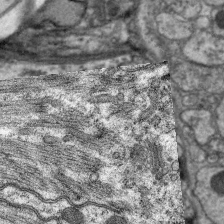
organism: C. elegans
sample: Pharynx